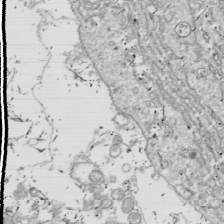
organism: Drosophila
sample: Cell division; meiosis; drosophila spermatocytes